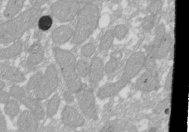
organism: Xenopus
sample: Cilia; centrioles in frog embryo cells